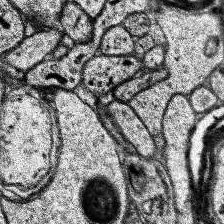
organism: Human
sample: Temporal Lobe